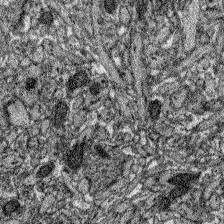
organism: Zebrafish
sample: Larval olfactory bulb